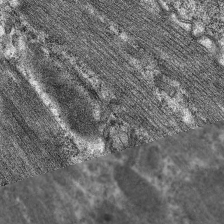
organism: C. elegans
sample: Pharynx